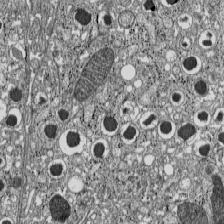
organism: C57BL Mouse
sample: Pancreatic islet